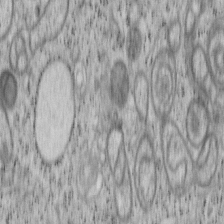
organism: Human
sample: HeLa cells